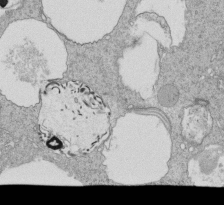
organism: Tetrahymena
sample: Cilia in tetrahymena